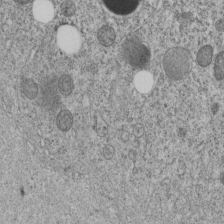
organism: C. elegans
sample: C. elegans embryo early stage